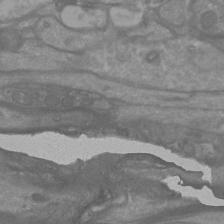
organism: Mouse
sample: Cortical neurons